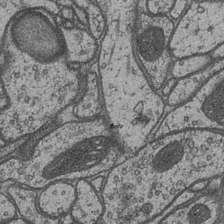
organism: Drosophila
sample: Optic medulla